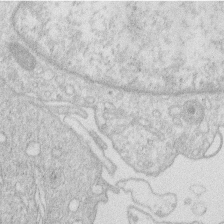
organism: Human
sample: Macrophage cells